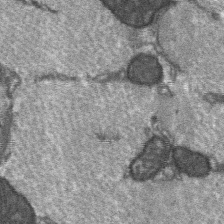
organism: C57BL Mouse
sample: Soleus